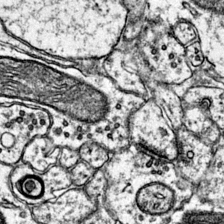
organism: Mouse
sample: Primary visual cortex